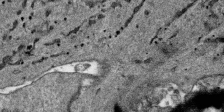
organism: Human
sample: Lung epithelial cells, uninfected (mock) control